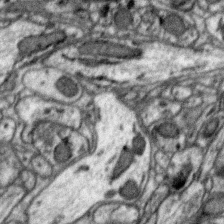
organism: Zebra finch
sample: Brain